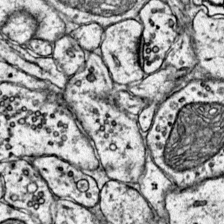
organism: Mouse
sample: Primary visual cortex